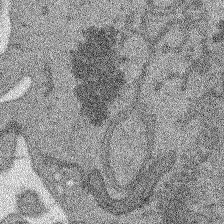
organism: Human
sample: HeLa cells